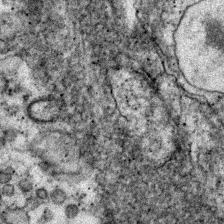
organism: Zebrafish